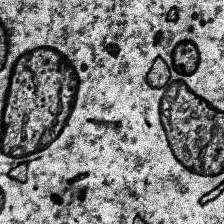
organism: Human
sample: Temporal Lobe